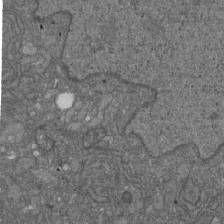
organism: Drosophila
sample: Nephrocyte